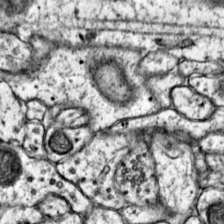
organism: Mouse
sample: Primary visual cortex